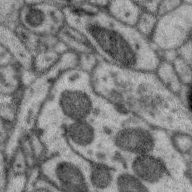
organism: Zebra finch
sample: Brain